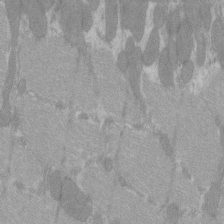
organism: C57BL Mouse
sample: Tibialis anterior muscle cell